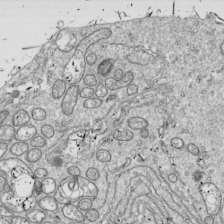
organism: Drosophila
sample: Cell division; meiosis; drosophila spermatocytes